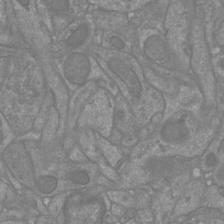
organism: Mouse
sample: Cortical neurons